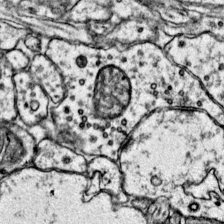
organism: Mouse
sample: Primary visual cortex